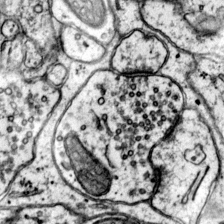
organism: Mouse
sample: Primary visual cortex